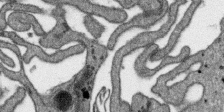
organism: Human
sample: Lung epithelial cells, uninfected (mock) control